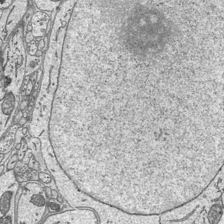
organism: Mouse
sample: Suprachiasmatic nucleus